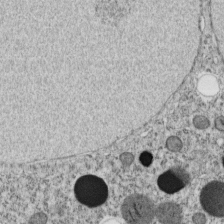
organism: C. elegans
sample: C. elegans embryo early stage